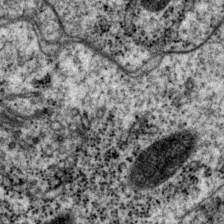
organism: P. pacificus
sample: Pharynx